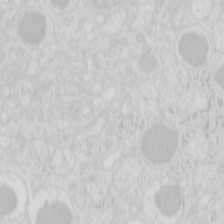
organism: Mouse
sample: Pancreas